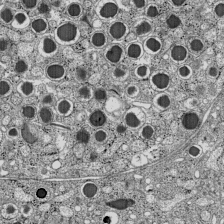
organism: C57BL Mouse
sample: Pancreatic islet